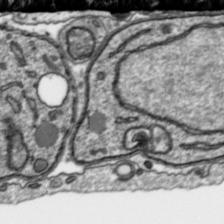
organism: Toxoplasma gondii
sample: Parasites in a vacuole inside a host cell